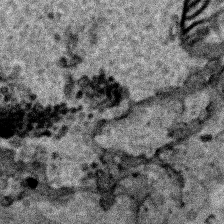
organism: Human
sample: Mitochondria in HCT116 cells